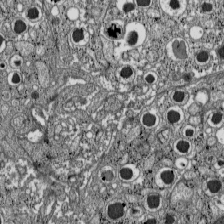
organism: C57BL Mouse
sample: Pancreatic islet